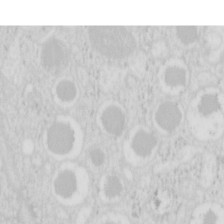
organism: Mouse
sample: Pancreas